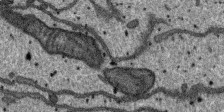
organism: Human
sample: Lung epithelial cells, uninfected (mock) control